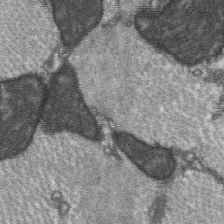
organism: C57BL Mouse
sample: Soleus